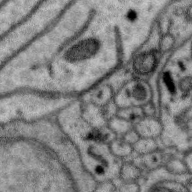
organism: Zebra finch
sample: Brain